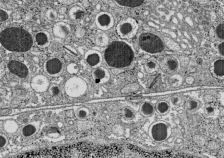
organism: C57BL Mouse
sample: Pancreatic islet